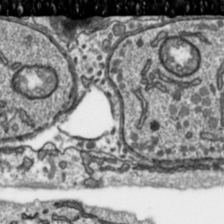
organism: Toxoplasma gondii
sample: Parasites in a vacuole inside a host cell